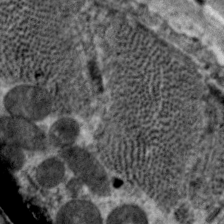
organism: C. elegans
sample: Pharynx